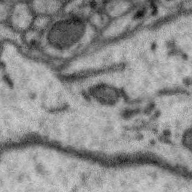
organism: Zebra finch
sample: Brain